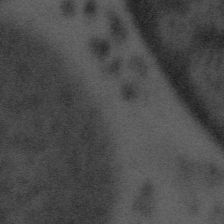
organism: Tuwongella immobilis